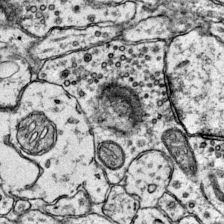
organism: Mouse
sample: Primary visual cortex